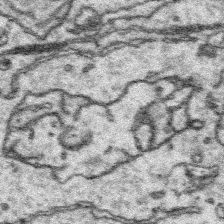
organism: Platynereis dumerilii